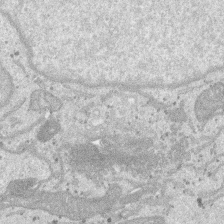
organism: Human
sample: Lung epithelial cells infected with SARS-CoV-2